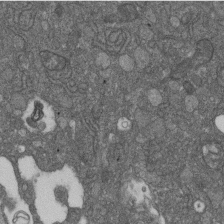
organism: Drosophila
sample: Nephrocyte